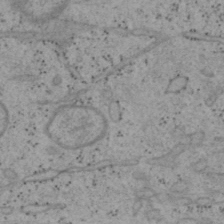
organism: Human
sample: HeLa cells